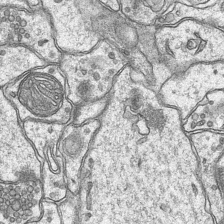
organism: Mouse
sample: CA1 Hippocampus